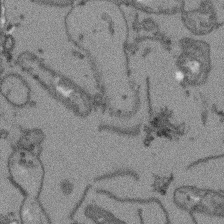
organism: Arabidopsis thaliana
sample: Root tip